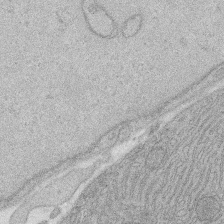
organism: Rat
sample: Salivary granule